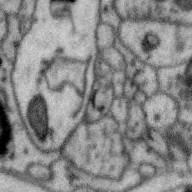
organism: Zebra finch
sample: Brain